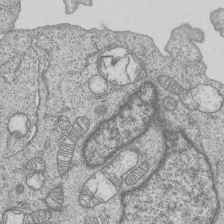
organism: Human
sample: MDA-MB-231 cells